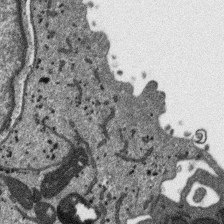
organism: Human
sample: Lung epithelial cells infected with SARS-CoV-2